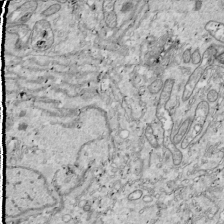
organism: Drosophila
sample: Cell division; meiosis; drosophila spermatocytes